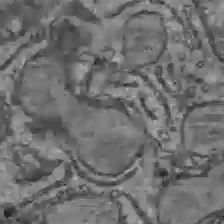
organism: C57BL Mouse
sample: Liver